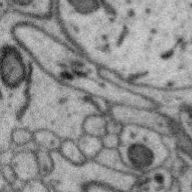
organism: Zebra finch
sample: Brain